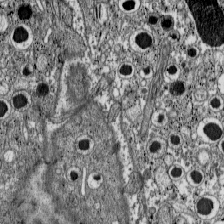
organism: C57BL Mouse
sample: Pancreatic islet